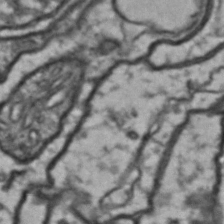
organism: Drosophila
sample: Brain